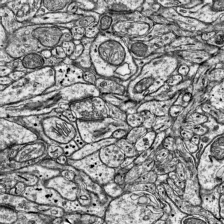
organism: Mouse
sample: Visual Cortex